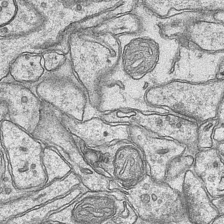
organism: Mouse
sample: CA1 Hippocampus